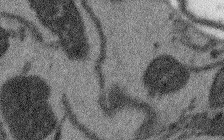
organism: Arabidopsis thaliana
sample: Root tip